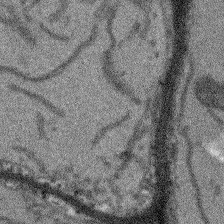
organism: Arabidopsis thaliana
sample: Root tip